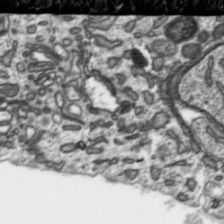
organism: Toxoplasma gondii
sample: Parasites in a vacuole inside a host cell